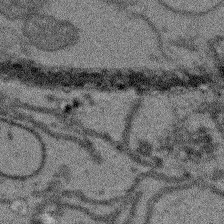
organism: Arabidopsis thaliana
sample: Root tip